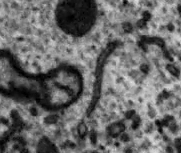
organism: Human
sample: HeLa cells